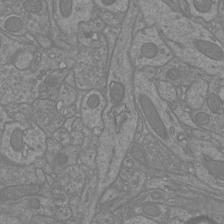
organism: Mouse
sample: Cortical neurons